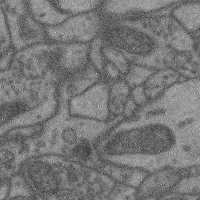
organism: Mouse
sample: Cerebral cortex